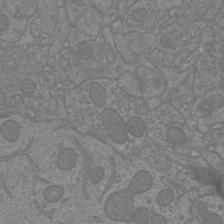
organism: Mouse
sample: Cortical neurons